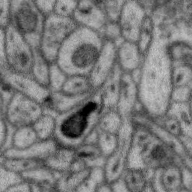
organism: Zebra finch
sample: Brain